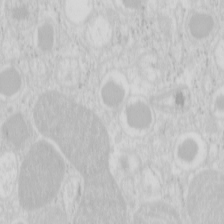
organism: Mouse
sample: Pancreas